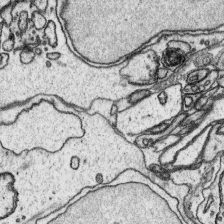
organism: Platynereis dumerilii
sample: Parapodia